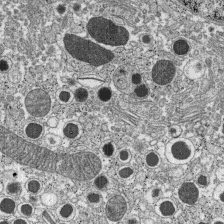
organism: C57BL Mouse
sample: Pancreatic islet